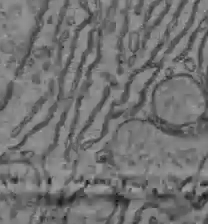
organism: C57BL Mouse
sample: Liver